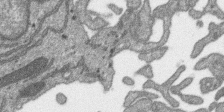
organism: Human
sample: Lung epithelial cells infected with SARS-CoV-2